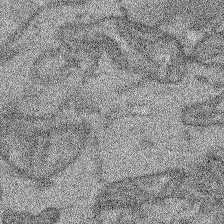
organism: Human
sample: HeLa cells